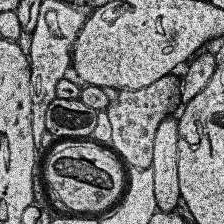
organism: Human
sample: Temporal Lobe